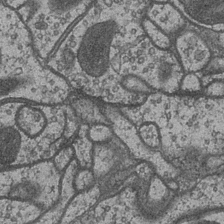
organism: Drosophila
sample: Optic medulla